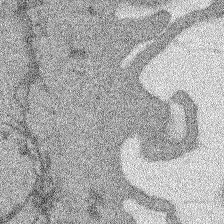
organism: Human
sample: HeLa cells